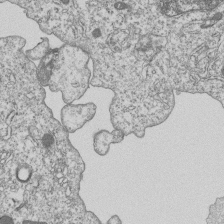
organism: Human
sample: MDA-MB-231 cells